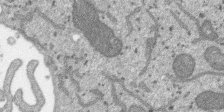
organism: Human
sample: Lung epithelial cells infected with SARS-CoV-2